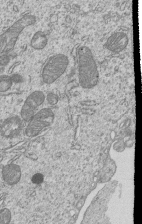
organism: Human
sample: MDA-MB-231 cells